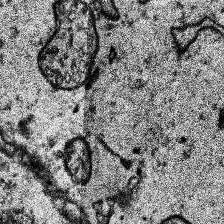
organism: Human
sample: Temporal Lobe